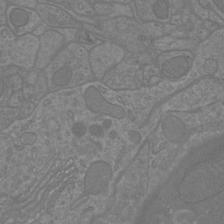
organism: Mouse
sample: Cortical neurons